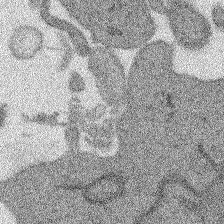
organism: Human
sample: HeLa cells